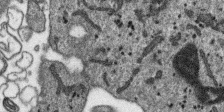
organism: Human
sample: Lung epithelial cells infected with SARS-CoV-2